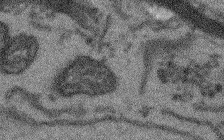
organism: Arabidopsis thaliana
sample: Root tip